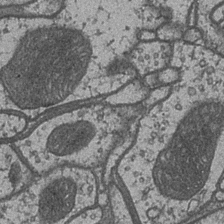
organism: Drosophila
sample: Optic medulla